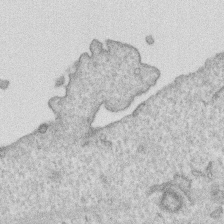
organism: Human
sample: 1205lu cells